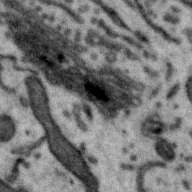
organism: Zebra finch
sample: Brain